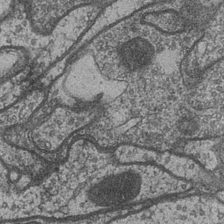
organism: Drosophila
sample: Optic medulla